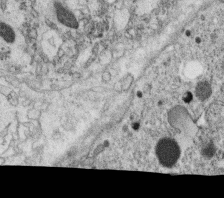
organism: C. elegans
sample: C. elegans oocyte; sperm cells